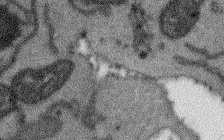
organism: Arabidopsis thaliana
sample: Root tip